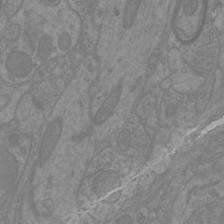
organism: Mouse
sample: Cortical neurons